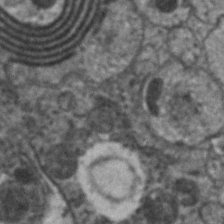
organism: C. elegans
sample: Pharynx